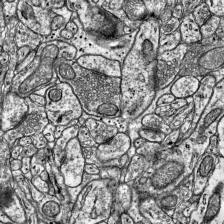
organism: Mouse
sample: Visual Cortex